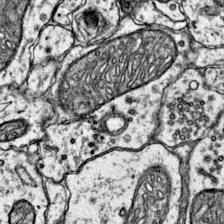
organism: Mouse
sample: Primary visual cortex